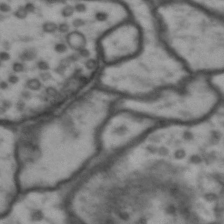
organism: Drosophila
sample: Brain